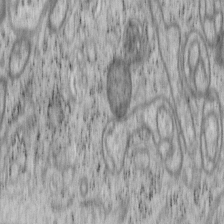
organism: Human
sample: HeLa cells